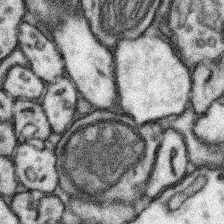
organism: Mouse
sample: Somatosensory cortex neuropil